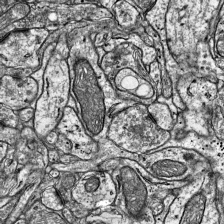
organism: Mouse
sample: Visual Cortex